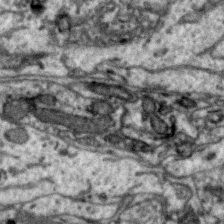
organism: Zebra finch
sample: Brain